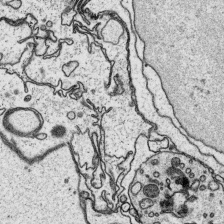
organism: Platynereis dumerilii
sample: Parapodia